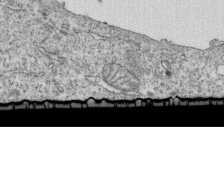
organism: Human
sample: HeLa cell HIV synapse